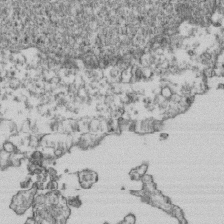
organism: Human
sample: Activated Jurkat CD4+ T cells